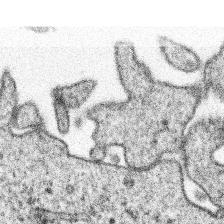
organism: Human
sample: HeLa cells